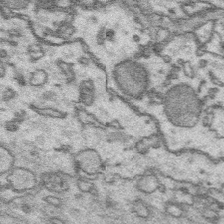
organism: Platynereis dumerilii